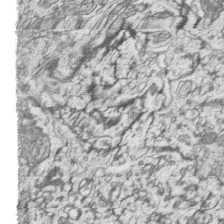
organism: Zebrafish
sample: synaptic ribbons in rod cells and cone cells